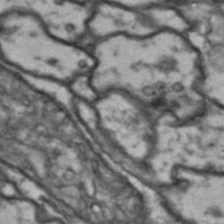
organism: Drosophila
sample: Brain